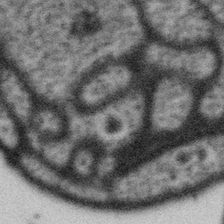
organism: Gemmata obscuriglobus